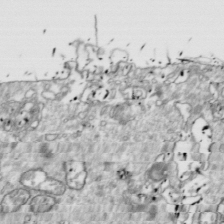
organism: Drosophila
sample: Cell division; meiosis; drosophila spermatocytes